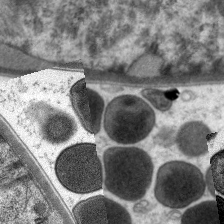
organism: C. elegans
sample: Pharynx